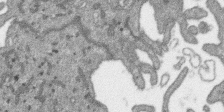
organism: Human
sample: Lung epithelial cells infected with SARS-CoV-2